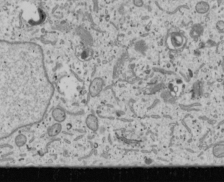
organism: Human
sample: Mitochondria in U2OS cells